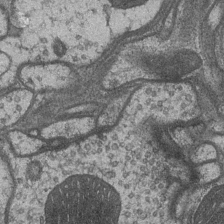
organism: Drosophila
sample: Optic medulla